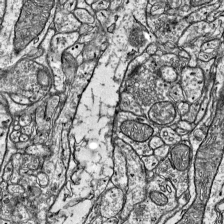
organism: Mouse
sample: Visual Cortex